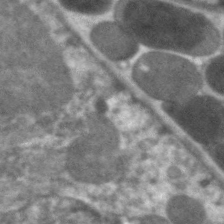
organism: C. elegans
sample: Pharynx